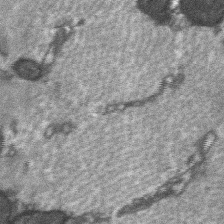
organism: C57BL Mouse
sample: Soleus